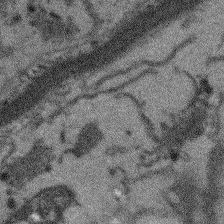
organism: Arabidopsis thaliana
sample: Root tip